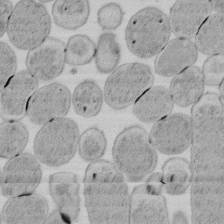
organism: E. coli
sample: Bacterial nucleoid